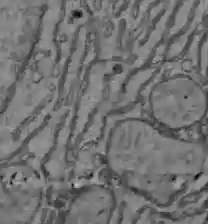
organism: C57BL Mouse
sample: Liver